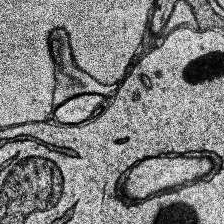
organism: Human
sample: Temporal Lobe